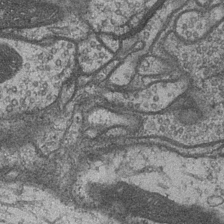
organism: Drosophila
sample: Optic medulla